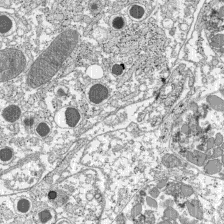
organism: C57BL Mouse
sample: Pancreatic islet